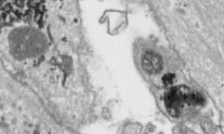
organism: Toxoplasma gondii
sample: Parasites in a vacuole inside a host cell